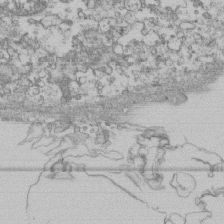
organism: Human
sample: Fibroblast cells